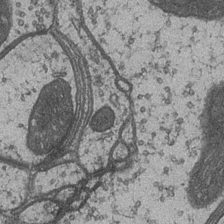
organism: Drosophila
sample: Optic medulla